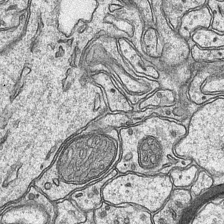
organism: Mouse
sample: CA1 Hippocampus